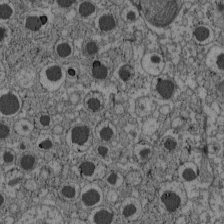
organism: C57BL Mouse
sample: Pancreatic islet